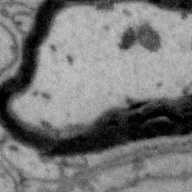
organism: Zebra finch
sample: Brain